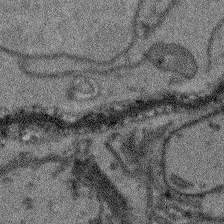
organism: Arabidopsis thaliana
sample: Root tip